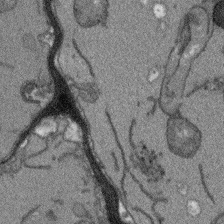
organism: Arabidopsis thaliana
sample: Root tip